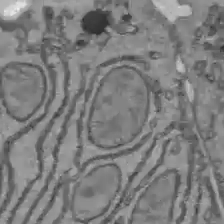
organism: C57BL Mouse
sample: Liver